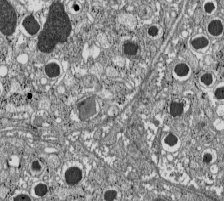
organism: C57BL Mouse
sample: Pancreatic islet